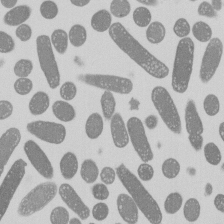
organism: E. coli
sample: Bacterial nucleoid